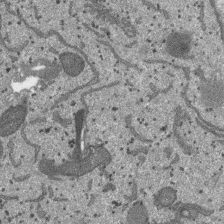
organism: Human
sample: Lung epithelial cells infected with SARS-CoV-2